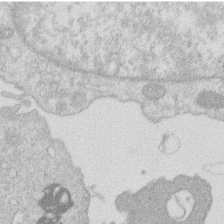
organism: Human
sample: Macrophage cells